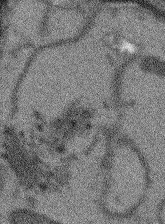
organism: Arabidopsis thaliana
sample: Root tip